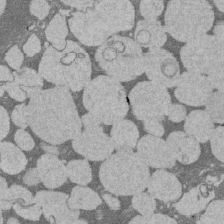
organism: Rat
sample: Salivary granule